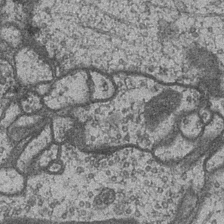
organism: Drosophila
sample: Optic medulla